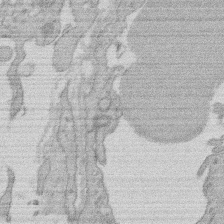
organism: Rat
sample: Salivary granule